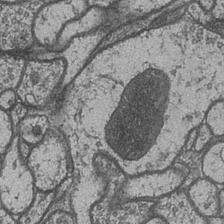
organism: Drosophila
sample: Optic medulla